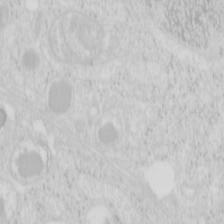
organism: Mouse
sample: Pancreas